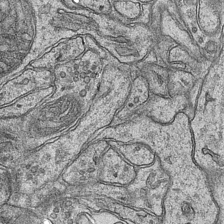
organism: Mouse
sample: CA1 Hippocampus